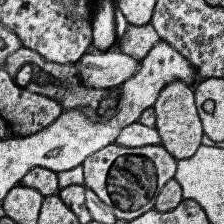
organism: Human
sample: Temporal Lobe